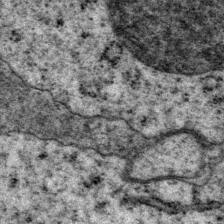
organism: P. pacificus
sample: Pharynx